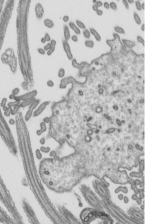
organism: Mouse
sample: Mouse epididymis efferent ductule cilia